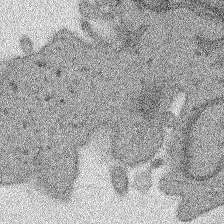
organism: Human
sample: HeLa cells